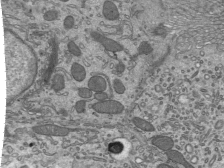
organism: Mouse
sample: Mouse epididymis efferent ductule cilia